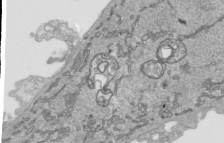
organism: Human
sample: Mitochondria in HCT116 cells